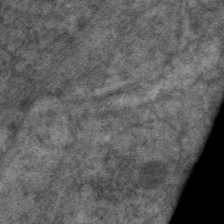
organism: C. elegans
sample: Pharynx